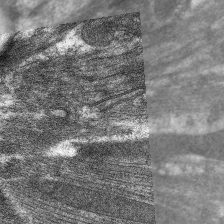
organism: C. elegans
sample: Pharynx